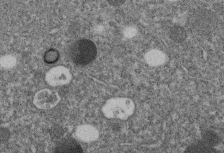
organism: C. elegans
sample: C. elegans embryo early stage